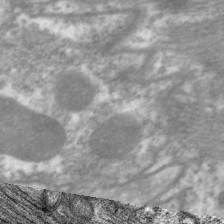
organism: C. elegans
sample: Pharynx